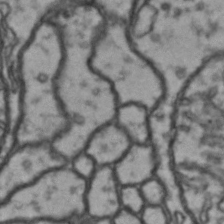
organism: Drosophila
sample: Brain